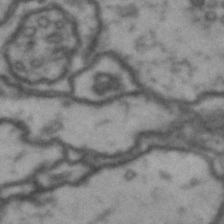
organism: Drosophila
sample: Brain